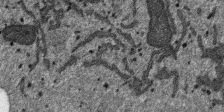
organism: Human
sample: Lung epithelial cells infected with SARS-CoV-2